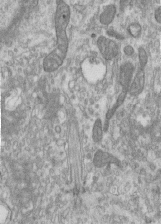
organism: Human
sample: Centriole in RPE cells